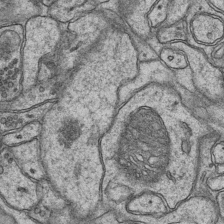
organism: Mouse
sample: CA1 Hippocampus